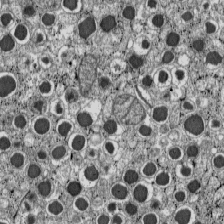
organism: C57BL Mouse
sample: Pancreatic islet